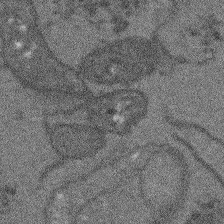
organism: Arabidopsis thaliana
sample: Root tip